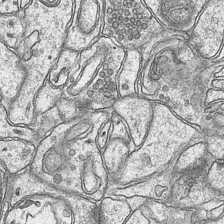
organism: Mouse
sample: CA1 Hippocampus